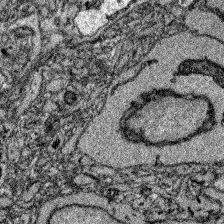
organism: Zebrafish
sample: Larval olfactory bulb